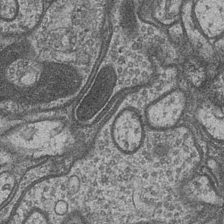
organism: Drosophila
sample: Optic medulla